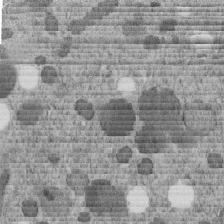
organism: C. elegans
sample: C. elegans embryo early stage